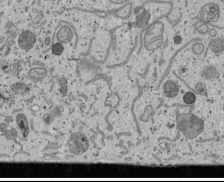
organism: Human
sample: Mitochondria in U2OS cells